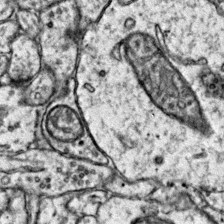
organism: Mouse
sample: Primary visual cortex